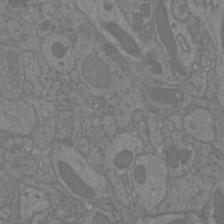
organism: Mouse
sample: Cortical neurons